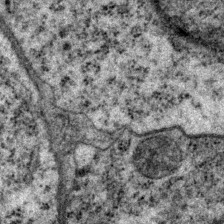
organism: P. pacificus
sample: Pharynx